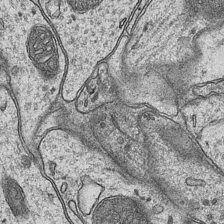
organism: Mouse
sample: CA1 Hippocampus